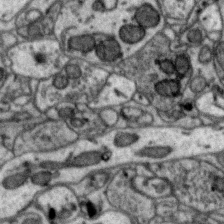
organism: Zebra finch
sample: Brain